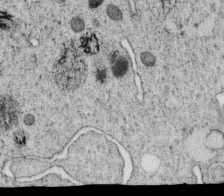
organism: C. elegans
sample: C. elegans oocyte; sperm cells